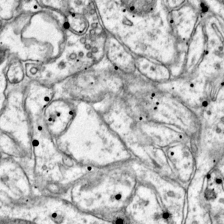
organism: Mouse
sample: Primary visual cortex